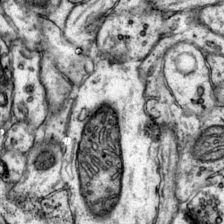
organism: Mouse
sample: Primary visual cortex